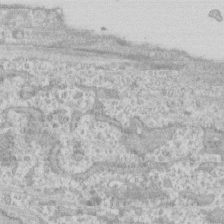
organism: Human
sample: CRL-1474